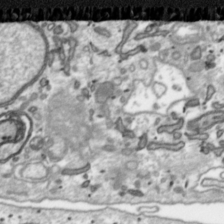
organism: Toxoplasma gondii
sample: Parasites in a vacuole inside a host cell